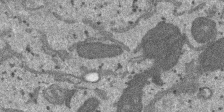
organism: Human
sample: Lung epithelial cells infected with SARS-CoV-2